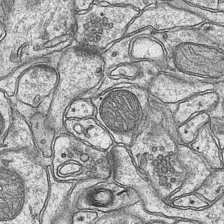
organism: Mouse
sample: CA1 Hippocampus